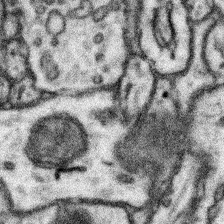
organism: Mouse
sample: Somatosensory cortex neuropil